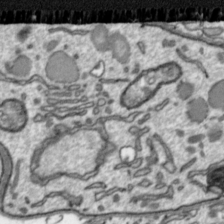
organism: Toxoplasma gondii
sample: Parasites in a vacuole inside a host cell